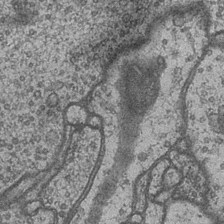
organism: Drosophila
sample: Optic medulla